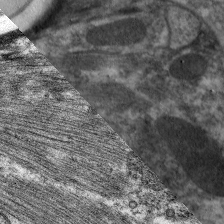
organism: C. elegans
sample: Pharynx